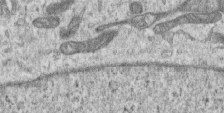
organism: Human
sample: Centriole in RPE cells